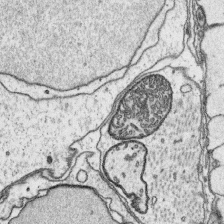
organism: Platynereis dumerilii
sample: Parapodia